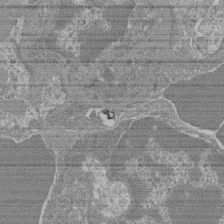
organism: Mouse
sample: Glomerulus